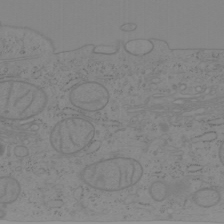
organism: Human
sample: HeLa cells